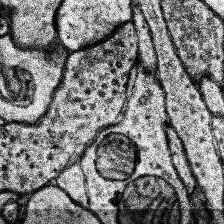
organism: Human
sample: Temporal Lobe